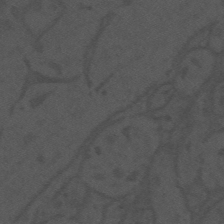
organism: Mouse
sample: Suprachiasmatic nucleus